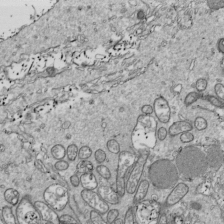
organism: Drosophila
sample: Cell division; meiosis; drosophila spermatocytes